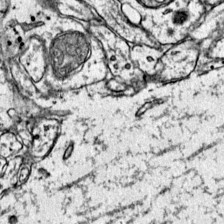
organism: Mouse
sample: Primary visual cortex